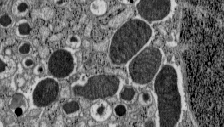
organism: C57BL Mouse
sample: Pancreatic islet